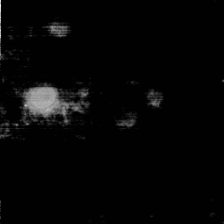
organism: C. elegans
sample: C. elegans embryo early stage